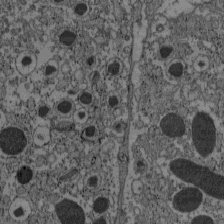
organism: C57BL Mouse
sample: Pancreatic islet